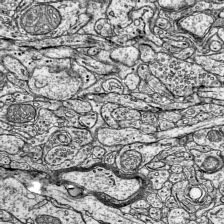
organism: Mouse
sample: Visual Cortex